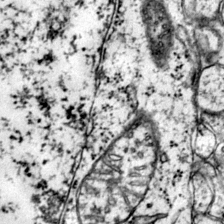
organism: Mouse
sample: Primary visual cortex